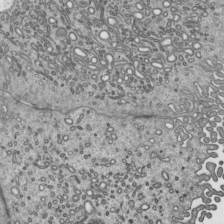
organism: Mouse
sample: Mouse epididymis efferent ductule cilia